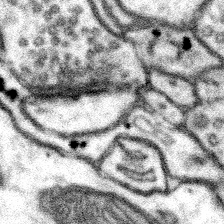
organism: Mouse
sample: Somatosensory cortex neuropil